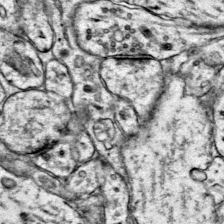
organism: Mouse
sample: Primary visual cortex